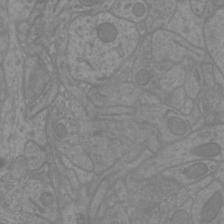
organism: Mouse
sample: Cortical neurons